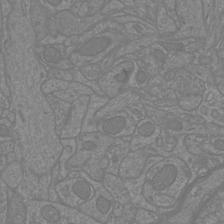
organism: Mouse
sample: Cortical neurons